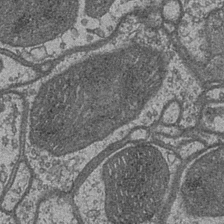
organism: Drosophila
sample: Optic medulla